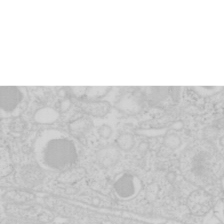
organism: Mouse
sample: Pancreas